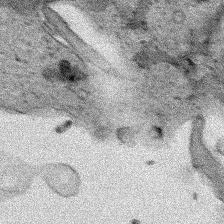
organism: Human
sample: Mitochondria in HCT116 cells